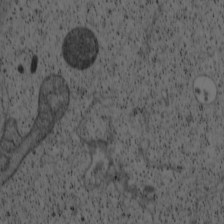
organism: African green monkey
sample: COS-7 cells